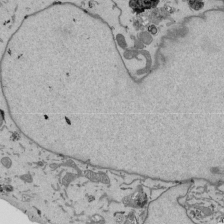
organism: Mouse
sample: ED-1 cell nuclei; centrioles